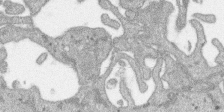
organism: Human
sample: Lung epithelial cells infected with SARS-CoV-2